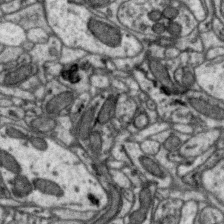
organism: Zebra finch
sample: Brain